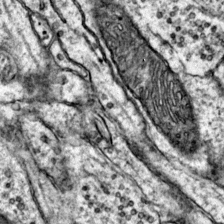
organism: Mouse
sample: Primary visual cortex